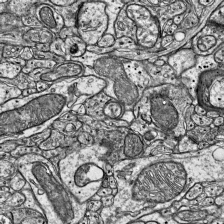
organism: Mouse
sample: Visual Cortex